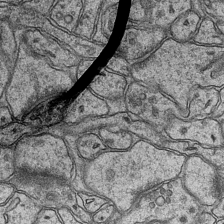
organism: Mouse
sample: CA1 Hippocampus